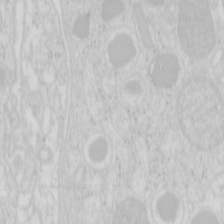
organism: Mouse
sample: Pancreas